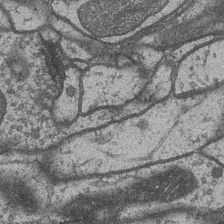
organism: Drosophila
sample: Optic medulla